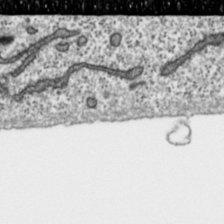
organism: Toxoplasma gondii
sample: Parasites in a vacuole inside a host cell